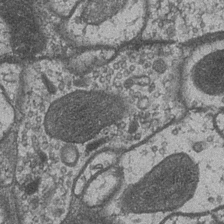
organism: Drosophila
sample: Optic medulla